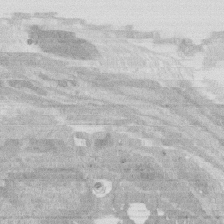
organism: Rat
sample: Salivary granule